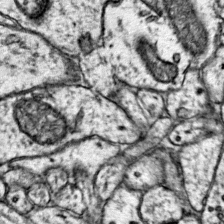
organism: Mouse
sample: Primary visual cortex